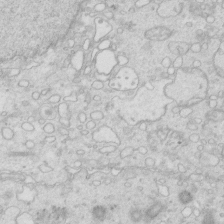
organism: Mouse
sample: Multiciliated cells